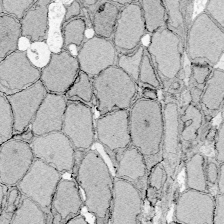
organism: Zebrafish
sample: Whole-Brain